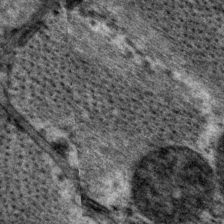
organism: P. pacificus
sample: Pharynx